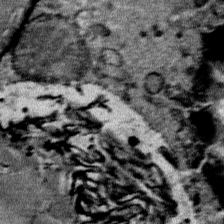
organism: Mouse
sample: Mouse Salivary gland